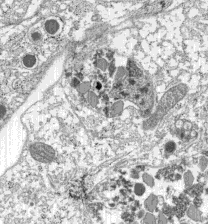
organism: C57BL Mouse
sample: Pancreatic islet